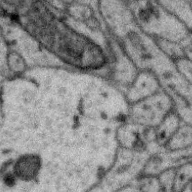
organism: Zebra finch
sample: Brain